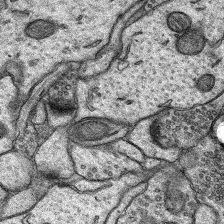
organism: Rat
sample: Hippocampus